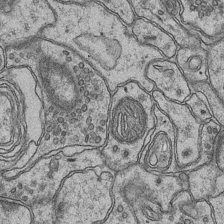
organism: Mouse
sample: CA1 Hippocampus